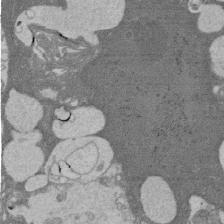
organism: Rat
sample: Salivary granule